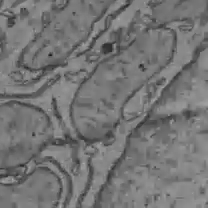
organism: C57BL Mouse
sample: Liver